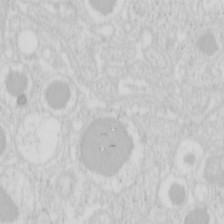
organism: Mouse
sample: Pancreas